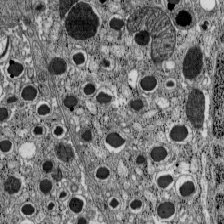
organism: C57BL Mouse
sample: Pancreatic islet